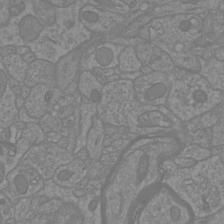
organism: Mouse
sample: Cortical neurons